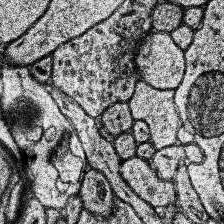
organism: Human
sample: Temporal Lobe